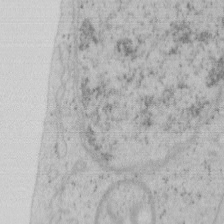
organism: Human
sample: HeLa cells